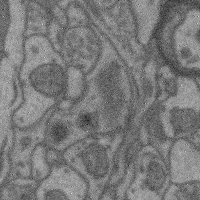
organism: Mouse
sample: Cerebral cortex